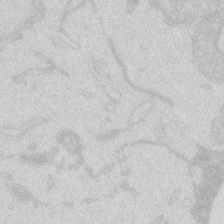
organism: Zebrafish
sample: Macrophage